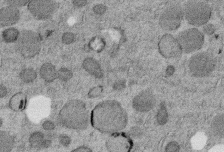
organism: C. elegans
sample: C. elegans embryo early stage